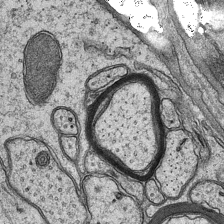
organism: Mouse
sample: CA1 Hippocampus